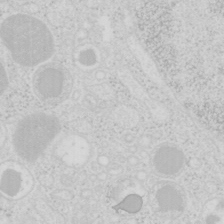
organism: Mouse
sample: Pancreas